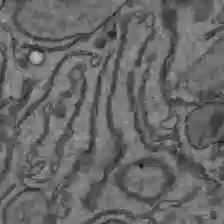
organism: C57BL Mouse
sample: Liver